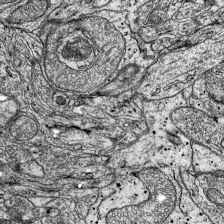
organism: Mouse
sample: Visual Cortex